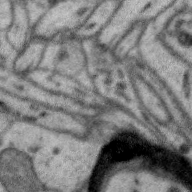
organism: Zebra finch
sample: Brain